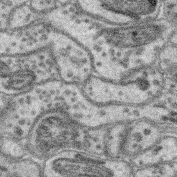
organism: Mouse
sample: Retina